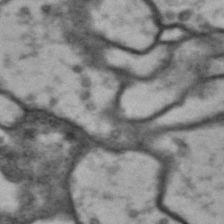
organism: Drosophila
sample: Brain